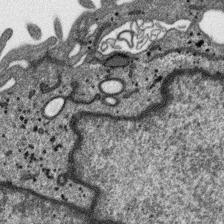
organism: Human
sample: Lung epithelial cells infected with SARS-CoV-2